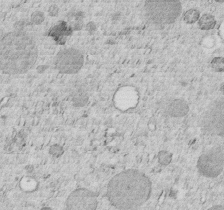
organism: C. elegans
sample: C. elegans embryo early stage